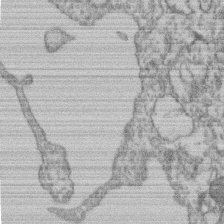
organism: Mouse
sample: T cell stromal cell synapse